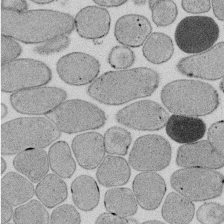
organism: E. coli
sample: Bacterial nucleoid